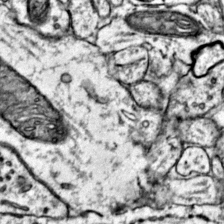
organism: Mouse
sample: Primary visual cortex